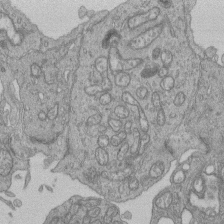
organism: Human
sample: Retinal organoid Rod and Cone cells